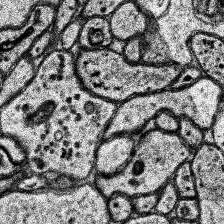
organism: Human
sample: Temporal Lobe